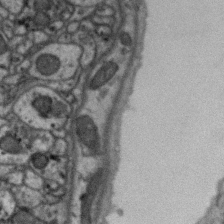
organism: Zebra finch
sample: Brain